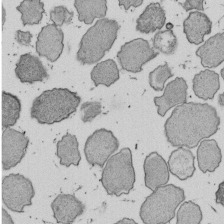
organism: E. coli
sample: Bacterial nucleoid